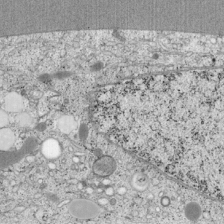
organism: African green monkey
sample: COS-7 cells